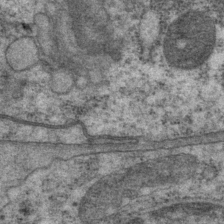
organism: P. pacificus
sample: Pharynx